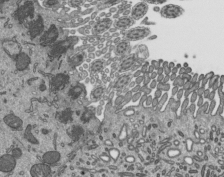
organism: Mouse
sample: Mouse epididymis efferent ductule cilia